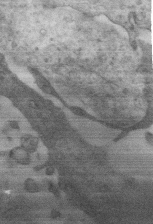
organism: Mouse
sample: Centriole in ependymal cells